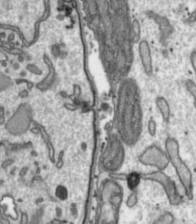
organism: Toxoplasma gondii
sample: Parasites in a vacuole inside a host cell